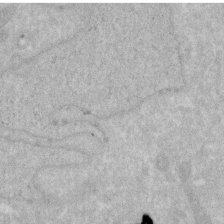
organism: Human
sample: HIV infected U937 cells